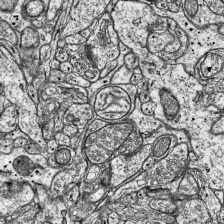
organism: Mouse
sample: Visual Cortex